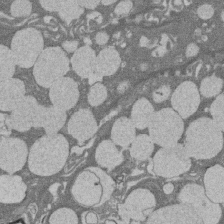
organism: Rat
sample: Salivary granule